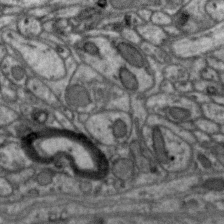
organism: Zebra finch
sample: Brain